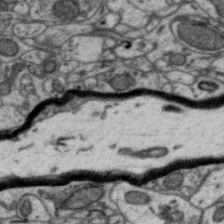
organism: Zebra finch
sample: Brain